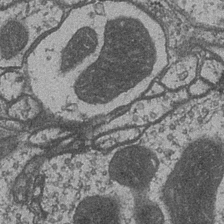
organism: Drosophila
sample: Optic medulla